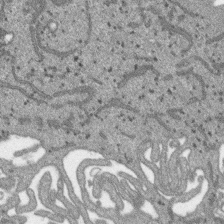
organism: Human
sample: Lung epithelial cells infected with SARS-CoV-2